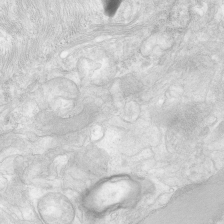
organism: Human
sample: Neocortex